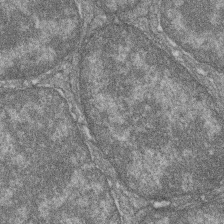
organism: Zebrafish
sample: Cilia; retinal pigment epithelium